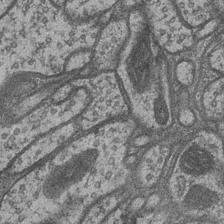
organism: Drosophila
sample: Optic medulla